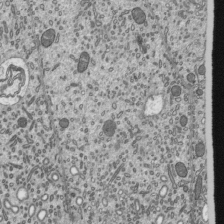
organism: Mouse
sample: Mouse epididymis efferent ductule cilia